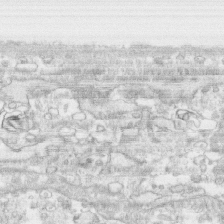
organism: Human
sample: CRL-1474